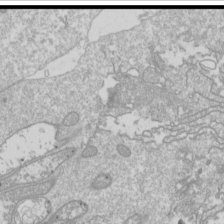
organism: Drosophila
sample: Cell division; meiosis; drosophila spermatocytes